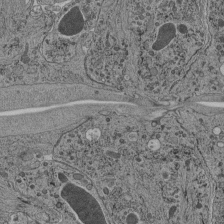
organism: C. elegans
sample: C. elegans pharynx